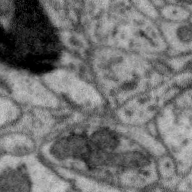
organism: Zebra finch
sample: Brain